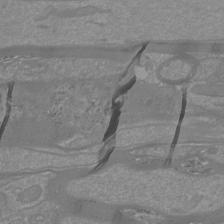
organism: Mouse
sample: Cortical neurons